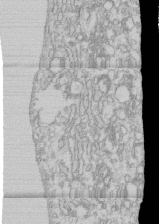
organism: Human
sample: CRL-1474